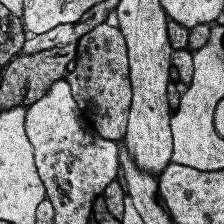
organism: Human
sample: Temporal Lobe